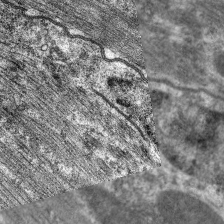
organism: C. elegans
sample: Pharynx